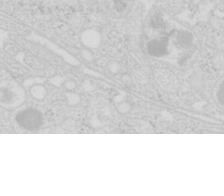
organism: Mouse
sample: Pancreas